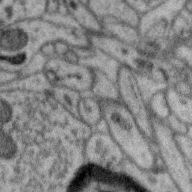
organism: Zebra finch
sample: Brain